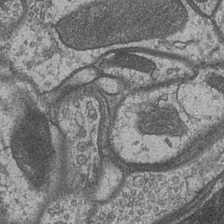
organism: Drosophila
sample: Optic medulla